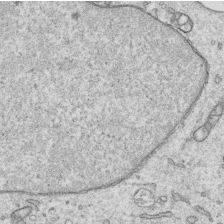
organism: Human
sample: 1205lu cells